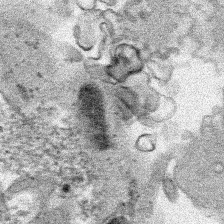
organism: Human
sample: Mitochondria in HCT116 cells